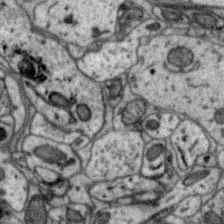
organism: Zebra finch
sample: Brain